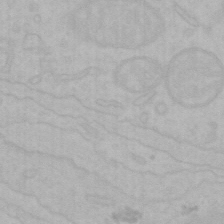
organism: Mouse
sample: Choroid plexus